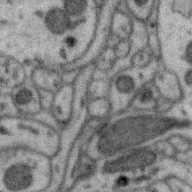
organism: Zebra finch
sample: Brain